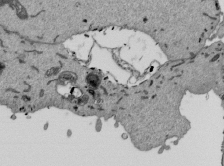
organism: Mouse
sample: ED-1 cell nuclei; centrioles